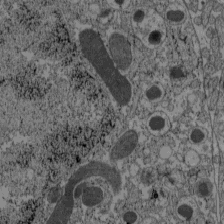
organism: C57BL Mouse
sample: Pancreatic islet